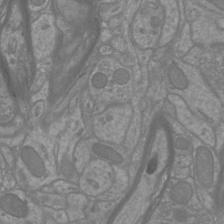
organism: Mouse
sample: Cortical neurons